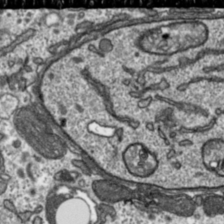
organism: Toxoplasma gondii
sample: Parasites in a vacuole inside a host cell